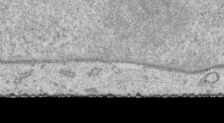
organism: Human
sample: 1205lu cells